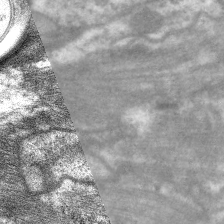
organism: C. elegans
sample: Pharynx